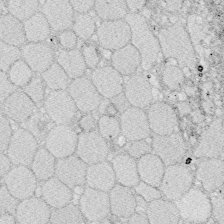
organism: Zebrafish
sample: Whole-Brain